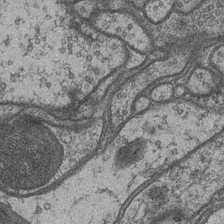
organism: Drosophila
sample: Optic medulla